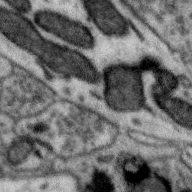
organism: Zebra finch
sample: Brain